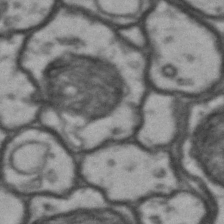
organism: Drosophila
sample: Brain